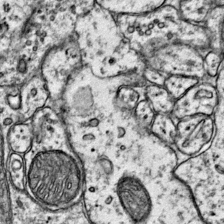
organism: Mouse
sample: Primary visual cortex